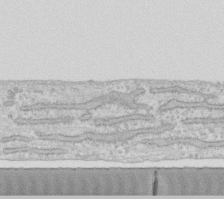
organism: Human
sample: Fibroblast cells